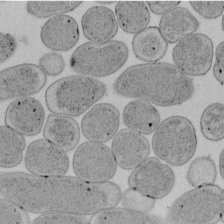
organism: E. coli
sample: Bacterial nucleoid